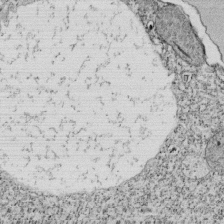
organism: Tetrahymena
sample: Cilia in tetrahymena